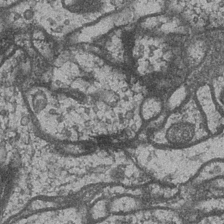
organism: Drosophila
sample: Optic medulla